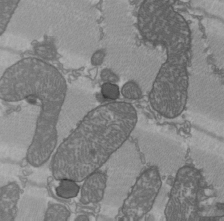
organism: C57BL Mouse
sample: Heart